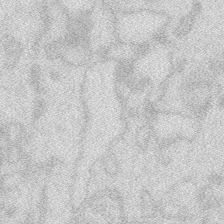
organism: Zebrafish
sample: Macrophage